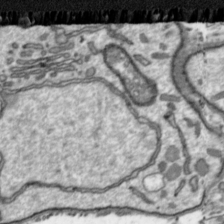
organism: Toxoplasma gondii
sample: Parasites in a vacuole inside a host cell